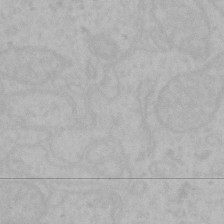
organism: Mouse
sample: Choroid plexus